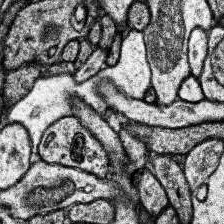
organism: Human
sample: Temporal Lobe